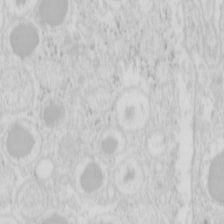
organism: Mouse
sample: Pancreas